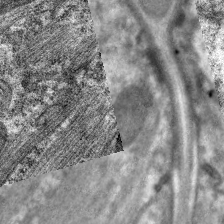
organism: C. elegans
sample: Pharynx